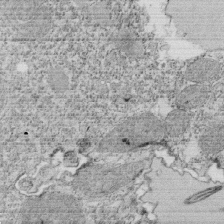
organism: Tetrahymena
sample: Cilia in tetrahymena